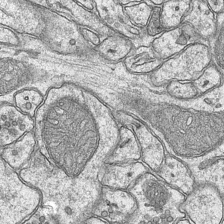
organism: Mouse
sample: CA1 Hippocampus